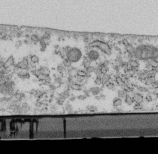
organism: Mouse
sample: Cilia; retinal pigment epithelium